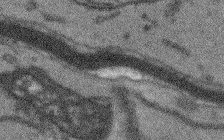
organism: Arabidopsis thaliana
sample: Root tip